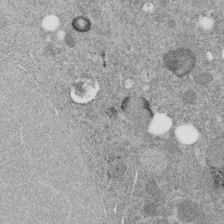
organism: C. elegans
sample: C. elegans embryo early stage